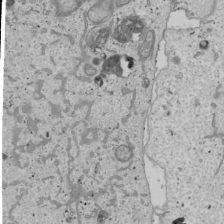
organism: Human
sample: Mitochondria in U2OS cells